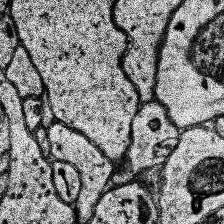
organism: Human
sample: Temporal Lobe